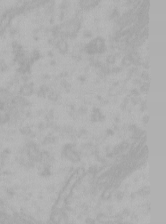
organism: Mouse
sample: Choroid plexus